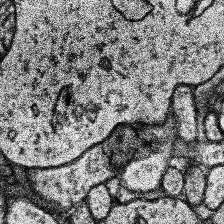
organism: Human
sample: Temporal Lobe